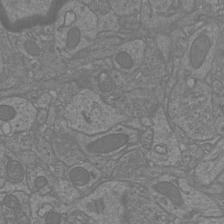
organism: Mouse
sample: Cortical neurons